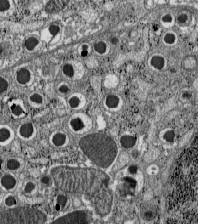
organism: C57BL Mouse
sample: Pancreatic islet